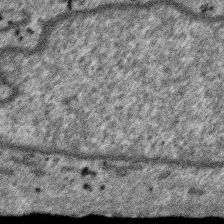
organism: Human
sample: Lung epithelial cells infected with SARS-CoV-2